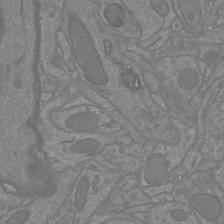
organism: Mouse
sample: Cortical neurons